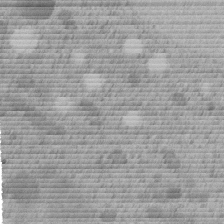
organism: C. elegans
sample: C. elegans embryo early stage